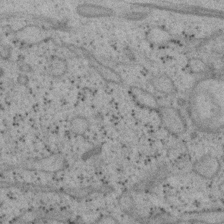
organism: Human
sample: HeLa cells